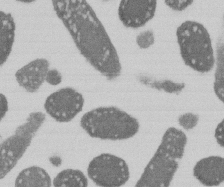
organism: E. coli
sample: Bacterial nucleoid